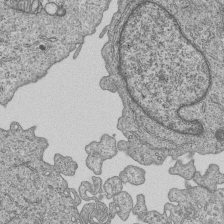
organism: Human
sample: MDA-MB-231 cells